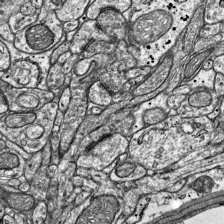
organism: Mouse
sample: Visual Cortex